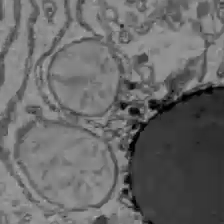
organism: C57BL Mouse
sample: Liver